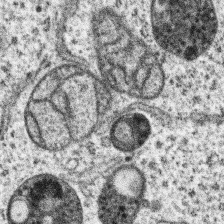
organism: Human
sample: HeLa cells